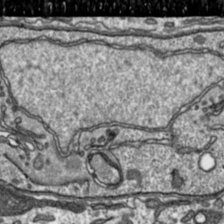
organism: Toxoplasma gondii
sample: Parasites in a vacuole inside a host cell